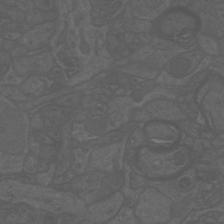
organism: Mouse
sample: Cortical neurons